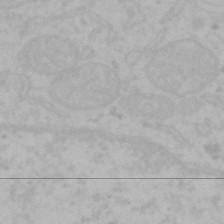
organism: Mouse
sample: Choroid plexus